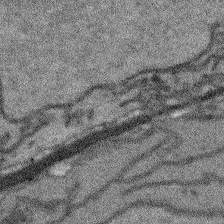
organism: Arabidopsis thaliana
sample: Root tip